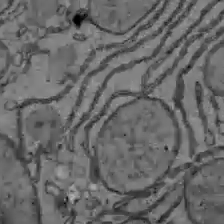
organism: C57BL Mouse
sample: Liver